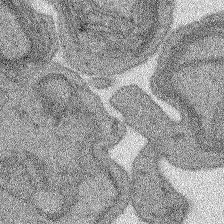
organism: Human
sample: HeLa cells